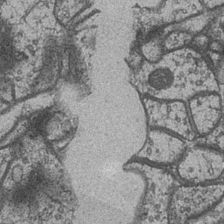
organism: Drosophila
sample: Optic medulla